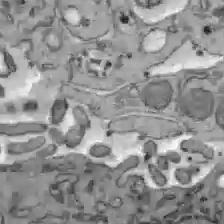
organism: C57BL Mouse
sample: Liver